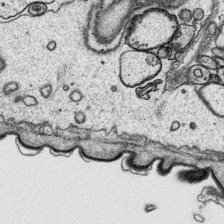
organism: Platynereis dumerilii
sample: Parapodia